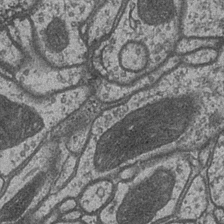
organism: Drosophila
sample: Optic medulla